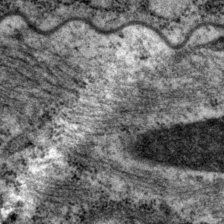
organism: P. pacificus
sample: Pharynx